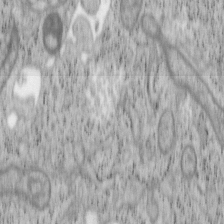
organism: Human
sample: HeLa cells